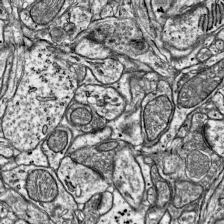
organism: Mouse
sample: Visual Cortex